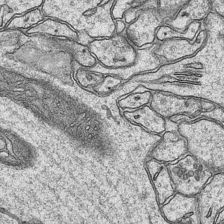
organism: Mouse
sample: CA1 Hippocampus